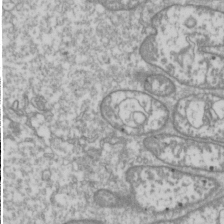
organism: Drosophila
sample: Cell division; meiosis; drosophila spermatocytes